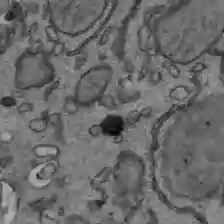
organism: C57BL Mouse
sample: Liver